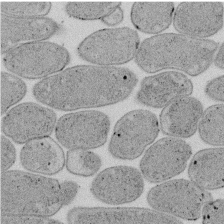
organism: E. coli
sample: Bacterial nucleoid